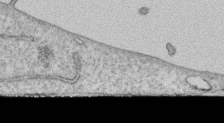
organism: Human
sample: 1205lu cells